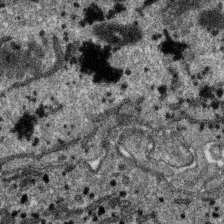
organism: Human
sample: Lung epithelial cells infected with SARS-CoV-2